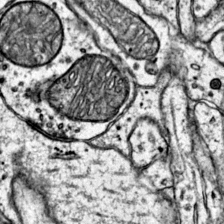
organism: Mouse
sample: Primary visual cortex